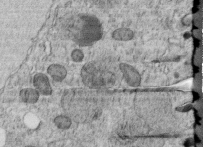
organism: C. elegans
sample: C. elegans embryo early stage